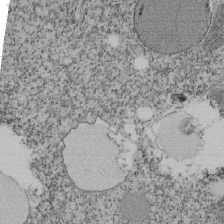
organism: Tetrahymena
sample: Cilia in tetrahymena